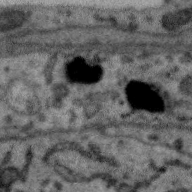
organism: Zebra finch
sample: Brain